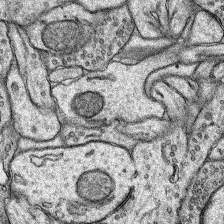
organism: Rat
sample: Hippocampus